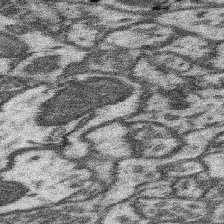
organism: Mouse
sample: Somatosensory cortex neuropil